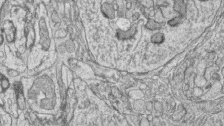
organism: Zebrafish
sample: synaptic ribbons in rod cells and cone cells